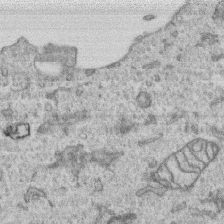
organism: Human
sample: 1205lu cells